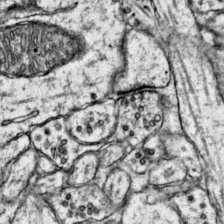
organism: Mouse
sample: Primary visual cortex